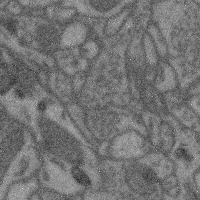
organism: Mouse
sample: Cerebral cortex